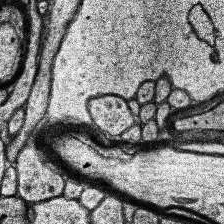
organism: Human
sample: Temporal Lobe